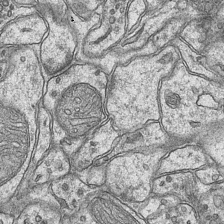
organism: Mouse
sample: CA1 Hippocampus